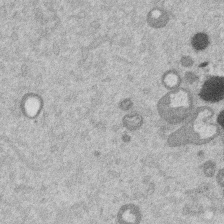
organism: Mouse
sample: Dividing mouse embryo 1 cell stage